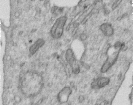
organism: Human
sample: Centriole in RPE cells